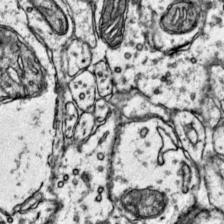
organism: Mouse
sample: Primary visual cortex